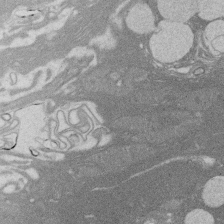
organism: Rat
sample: Salivary granule